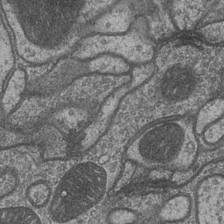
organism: Drosophila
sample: Optic medulla